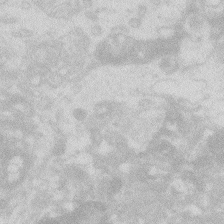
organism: Zebrafish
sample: Macrophage